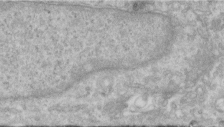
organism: Human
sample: Centriole in RPE cells